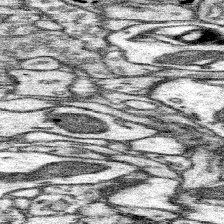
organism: Mouse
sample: Somatosensory cortex neuropil